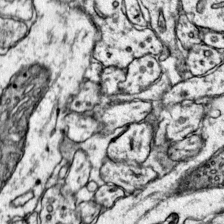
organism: Mouse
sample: Primary visual cortex